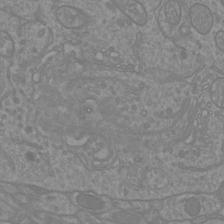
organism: Mouse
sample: Cortical neurons